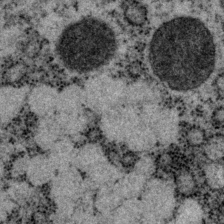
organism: P. pacificus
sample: Pharynx